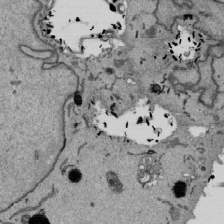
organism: Mouse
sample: ED-1 cell nuclei; centrioles